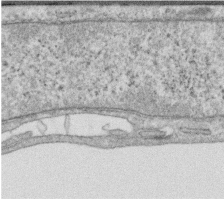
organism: Human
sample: Centriole in RPE cells